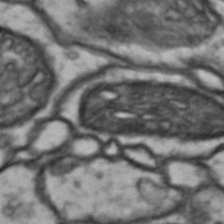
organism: Drosophila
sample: Brain